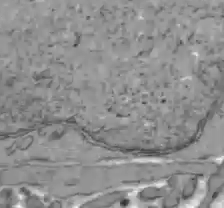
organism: C57BL Mouse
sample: Liver